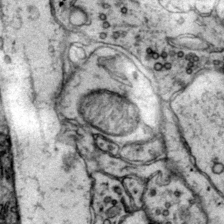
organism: Mouse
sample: Primary visual cortex